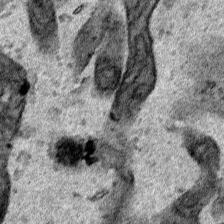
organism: Human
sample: Mitochondria in HCT116 cells